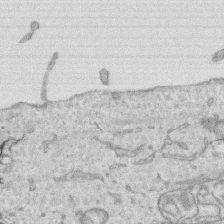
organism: Human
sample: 1205lu cells